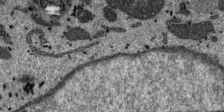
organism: Human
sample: Lung epithelial cells, uninfected (mock) control